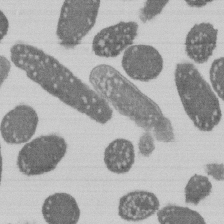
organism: E. coli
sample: Bacterial nucleoid